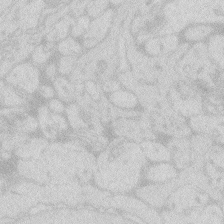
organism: Zebrafish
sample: Macrophage